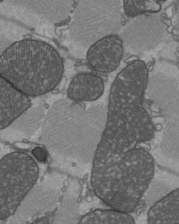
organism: C57BL Mouse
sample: Heart